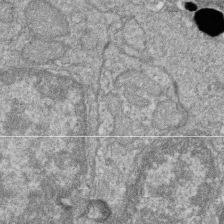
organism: Zebrafish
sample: Cilia; retinal pigment epithelium